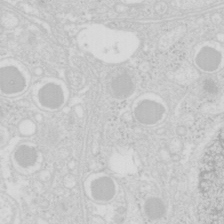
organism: Mouse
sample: Pancreas